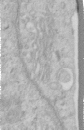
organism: Human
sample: Centriole in RPE cells